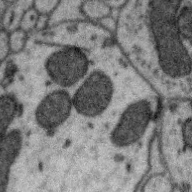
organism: Zebra finch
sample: Brain